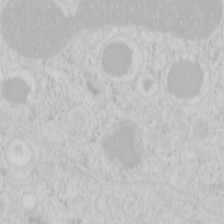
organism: Mouse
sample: Pancreas